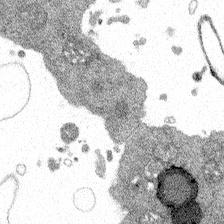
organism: Spongilla lacustris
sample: Multiple